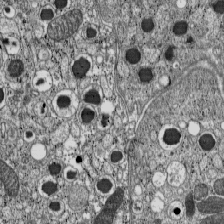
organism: C57BL Mouse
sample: Pancreatic islet